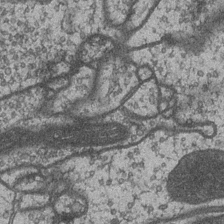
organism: Drosophila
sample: Optic medulla